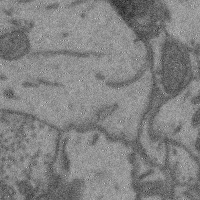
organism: Mouse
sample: Cerebral cortex